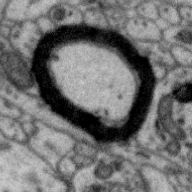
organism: Zebra finch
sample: Brain